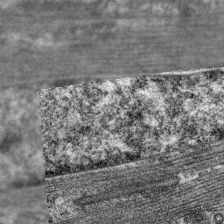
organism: C. elegans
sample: Pharynx